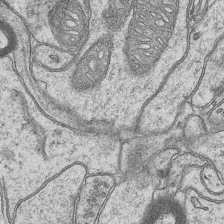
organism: Mouse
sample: CA1 Hippocampus